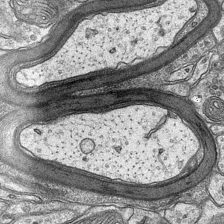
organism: Mouse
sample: CA1 Hippocampus